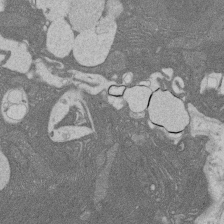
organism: Rat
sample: Salivary granule